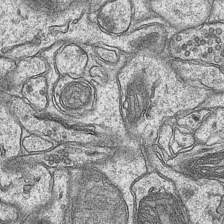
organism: Mouse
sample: CA1 Hippocampus